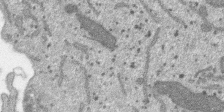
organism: Human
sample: Lung epithelial cells infected with SARS-CoV-2